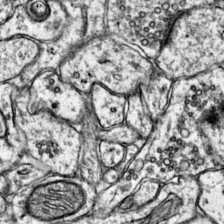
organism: Mouse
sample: Primary visual cortex